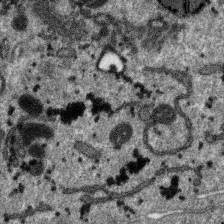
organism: Human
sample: Lung epithelial cells infected with SARS-CoV-2